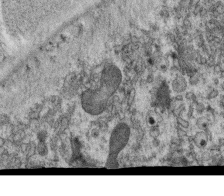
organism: C. elegans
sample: C. elegans oocyte; sperm cells